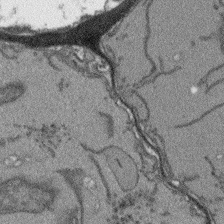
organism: Arabidopsis thaliana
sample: Root tip